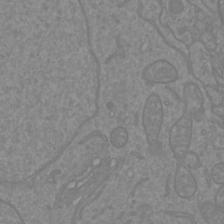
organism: Mouse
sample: Cortical neurons